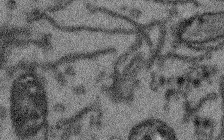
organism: Arabidopsis thaliana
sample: Root tip